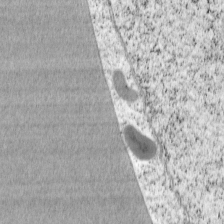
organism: African green monkey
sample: COS-7 cells